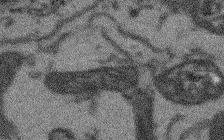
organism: Arabidopsis thaliana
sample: Root tip